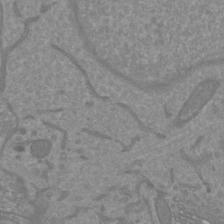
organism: Mouse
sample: Cortical neurons